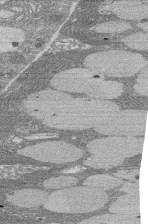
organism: Rat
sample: Salivary granule